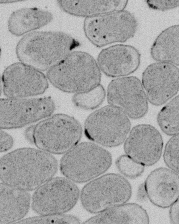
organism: E. coli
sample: Bacterial nucleoid